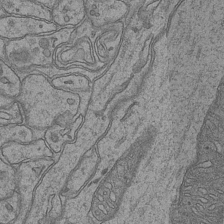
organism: Mouse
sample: CA1 Hippocampus